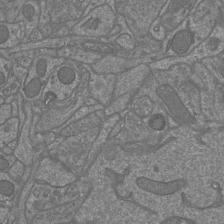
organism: Mouse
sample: Cortical neurons